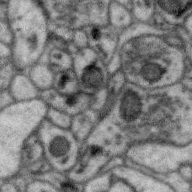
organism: Zebra finch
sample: Brain